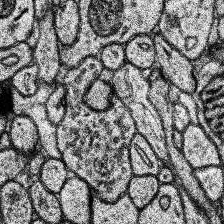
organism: Human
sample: Temporal Lobe